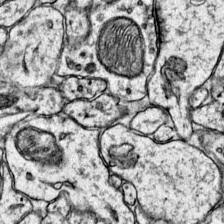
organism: Mouse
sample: Primary visual cortex